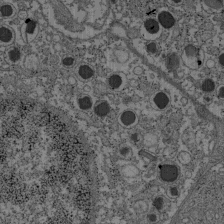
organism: C57BL Mouse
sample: Pancreatic islet